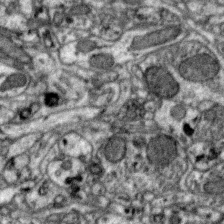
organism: Zebra finch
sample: Brain